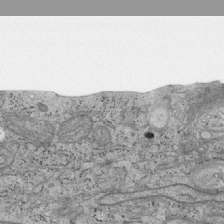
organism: Human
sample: HeLa cells